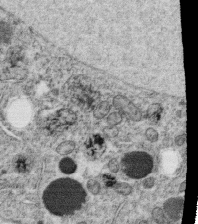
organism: C. elegans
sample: C. elegans oocyte; sperm cells